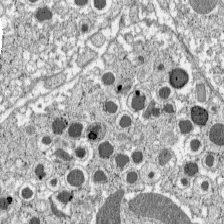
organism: C57BL Mouse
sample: Pancreatic islet